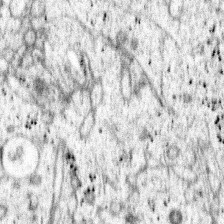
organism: Human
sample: HeLa cells